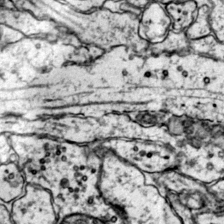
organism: Mouse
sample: Primary visual cortex